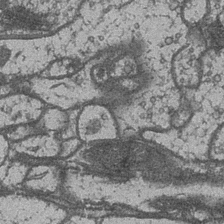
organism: Drosophila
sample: Optic medulla